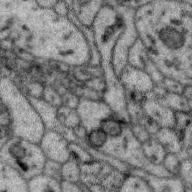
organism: Zebra finch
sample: Brain